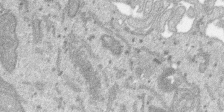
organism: Human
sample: Lung epithelial cells infected with SARS-CoV-2